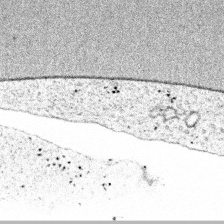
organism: Human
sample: HeLa cells